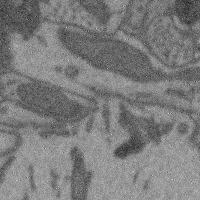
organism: Mouse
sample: Cerebral cortex